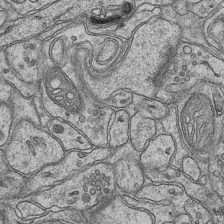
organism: Mouse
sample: CA1 Hippocampus